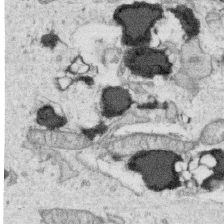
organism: Human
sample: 1205lu cells